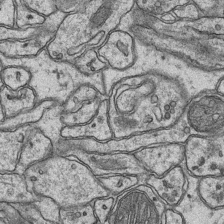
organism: Mouse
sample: CA1 Hippocampus